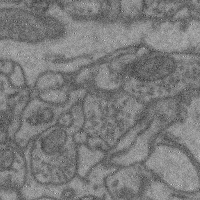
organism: Mouse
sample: Cerebral cortex